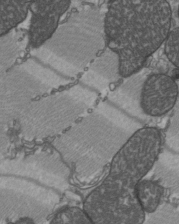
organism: C57BL Mouse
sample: Heart